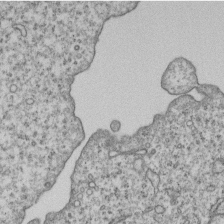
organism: Human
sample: MDA-MB-231 cells